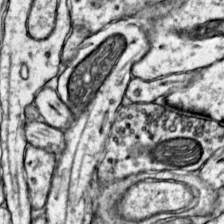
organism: Mouse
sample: Primary visual cortex